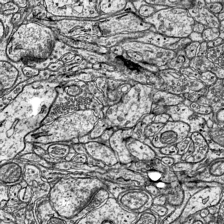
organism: Mouse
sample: Visual Cortex